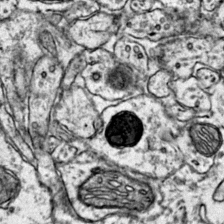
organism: Mouse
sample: Primary visual cortex